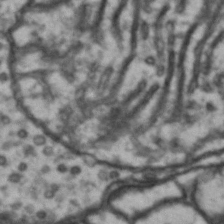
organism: Drosophila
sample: Brain